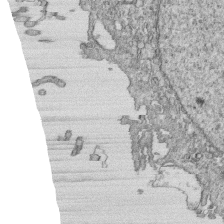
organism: Human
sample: HeLa cell HIV synapse